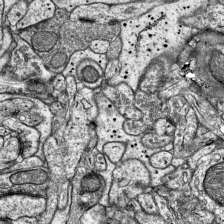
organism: Mouse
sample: Visual Cortex